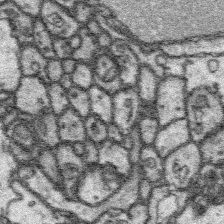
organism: Platynereis dumerilii